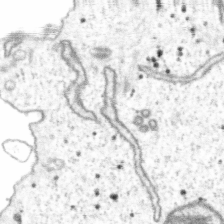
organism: Human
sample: HeLa cells